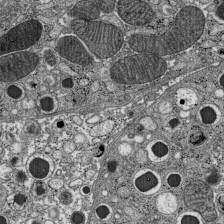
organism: C57BL Mouse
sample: Pancreatic islet